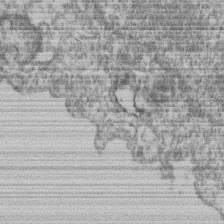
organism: Mouse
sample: T cell stromal cell synapse